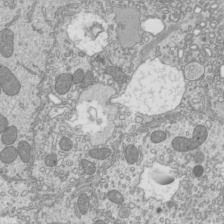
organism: Mouse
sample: Cilia; mouse epididymis